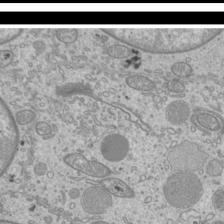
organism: Mouse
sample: Cilia; mouse epididymis